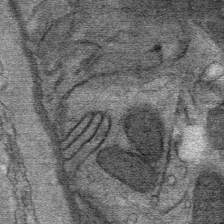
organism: Mouse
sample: Mouse Salivary gland